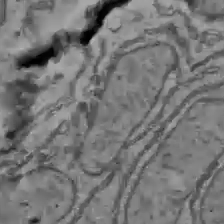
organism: C57BL Mouse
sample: Liver